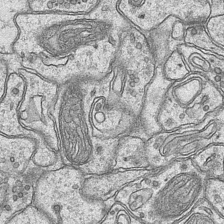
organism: Mouse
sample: CA1 Hippocampus